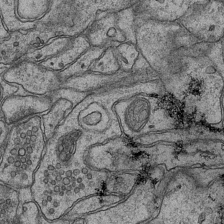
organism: Mouse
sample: CA1 Hippocampus